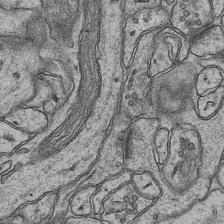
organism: Mouse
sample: CA1 Hippocampus